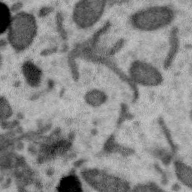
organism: Zebra finch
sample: Brain